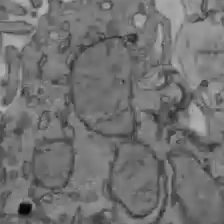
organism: C57BL Mouse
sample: Liver